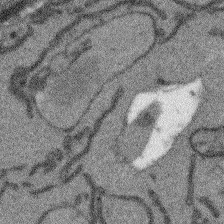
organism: Arabidopsis thaliana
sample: Root tip